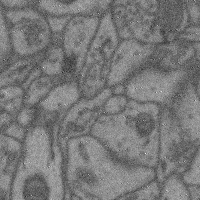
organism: Mouse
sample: Cerebral cortex